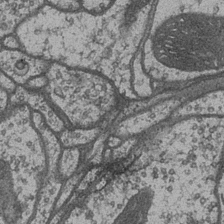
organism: Drosophila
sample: Optic medulla